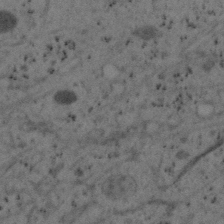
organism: Human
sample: HeLa cells